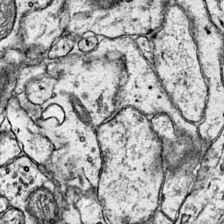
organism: Mouse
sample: Primary visual cortex